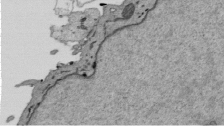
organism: Mouse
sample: ED-1 cell nuclei; centrioles